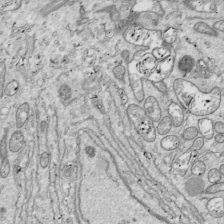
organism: Drosophila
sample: Cell division; meiosis; drosophila spermatocytes